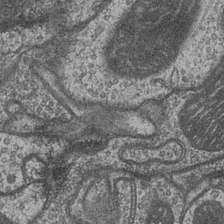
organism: Drosophila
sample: Optic medulla